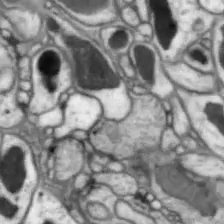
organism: Drosophila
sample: Optic lobe